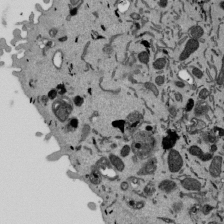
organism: Mouse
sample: ED-1 cell nuclei; centrioles